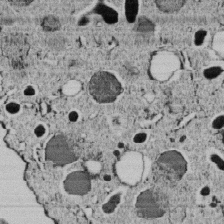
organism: C. elegans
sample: C. elegans embryo early stage